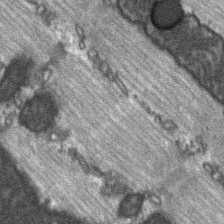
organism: C57BL Mouse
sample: Soleus